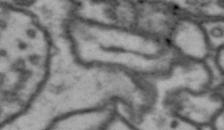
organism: Drosophila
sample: Brain